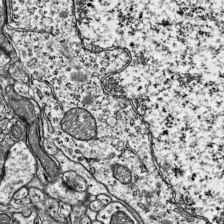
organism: Mouse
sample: Visual Cortex